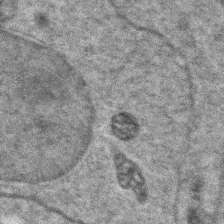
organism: Zebrafish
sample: Zebrafish embryo